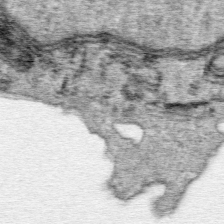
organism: Human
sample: HeLa cells